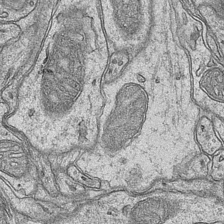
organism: Mouse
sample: CA1 Hippocampus